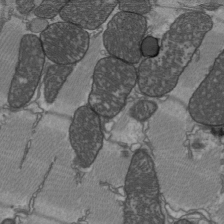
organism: C57BL Mouse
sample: Heart